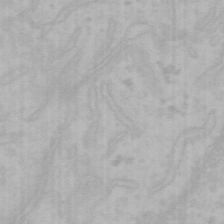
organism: Mouse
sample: Choroid plexus